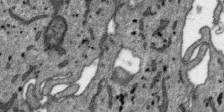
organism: Human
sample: Lung epithelial cells, uninfected (mock) control